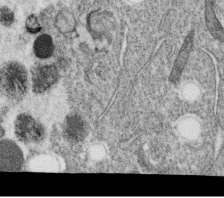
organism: C. elegans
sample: C. elegans oocyte; sperm cells